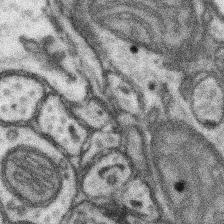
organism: Mouse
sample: Somatosensory cortex neuropil